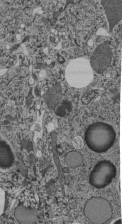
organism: C. elegans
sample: C. elegans pharynx